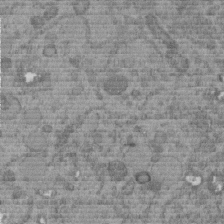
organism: C. elegans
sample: C. elegans embryo early stage